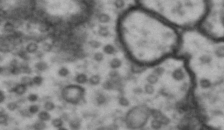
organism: Drosophila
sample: Brain